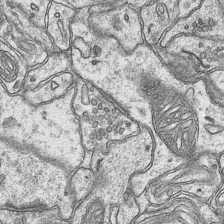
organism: Mouse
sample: CA1 Hippocampus